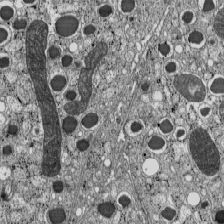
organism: C57BL Mouse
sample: Pancreatic islet